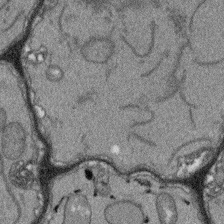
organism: Arabidopsis thaliana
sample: Root tip